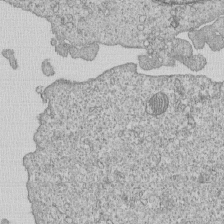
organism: Human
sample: MDA-MB-231 cells